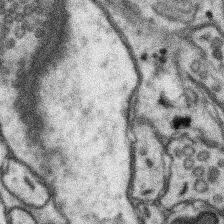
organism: Mouse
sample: Somatosensory cortex neuropil